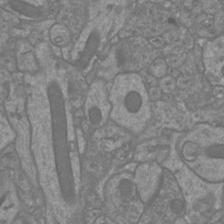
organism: Mouse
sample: Cortical neurons